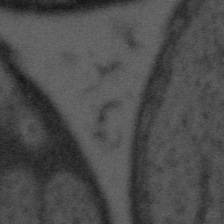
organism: Tuwongella immobilis